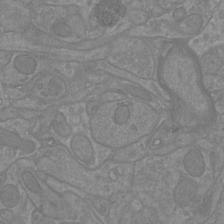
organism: Mouse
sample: Cortical neurons